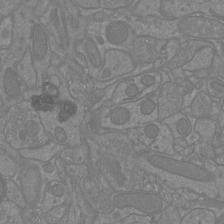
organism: Mouse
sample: Cortical neurons